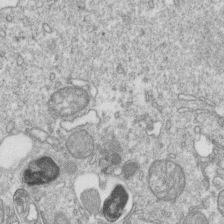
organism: Mouse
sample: Activated OT-1 CD8+ T cells